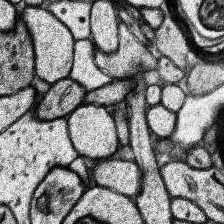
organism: Human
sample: Temporal Lobe